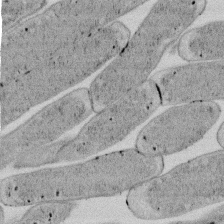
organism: E. coli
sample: Bacterial nucleoid